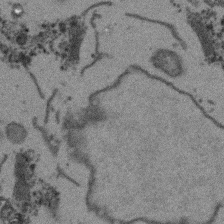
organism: Arabidopsis thaliana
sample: Root tip